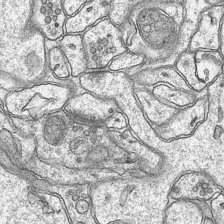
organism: Mouse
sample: CA1 Hippocampus